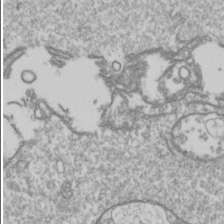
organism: Drosophila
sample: Cell division; meiosis; drosophila spermatocytes